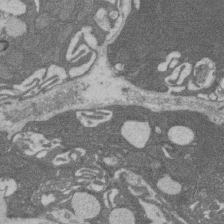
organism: Rat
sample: Salivary granule